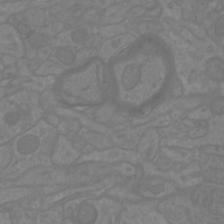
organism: Mouse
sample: Cortical neurons